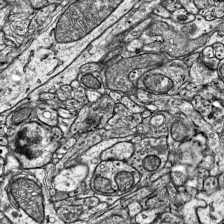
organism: Mouse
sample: Visual Cortex